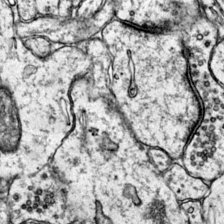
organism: Mouse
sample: Primary visual cortex